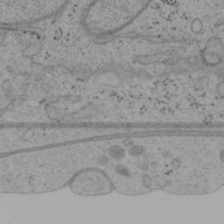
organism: Human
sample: HeLa cells